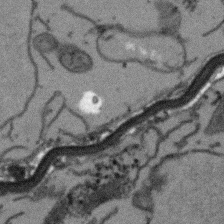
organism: Arabidopsis thaliana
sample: Root tip